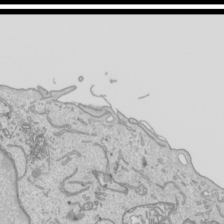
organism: Human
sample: Mitochondria in HCT116 cells